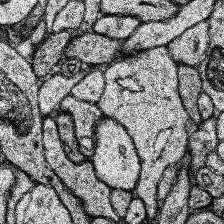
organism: Human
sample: Temporal Lobe